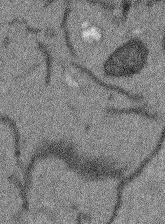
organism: Arabidopsis thaliana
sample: Root tip